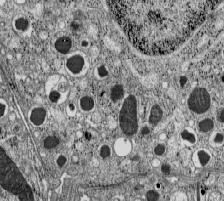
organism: C57BL Mouse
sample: Pancreatic islet